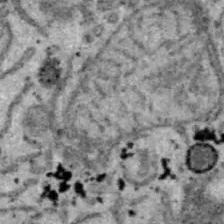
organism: Mouse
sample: Liver from an obese (ob/ob) mouse